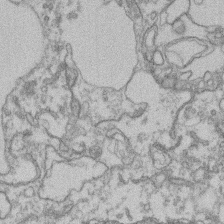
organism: Mouse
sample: T cell stromal cell synapse